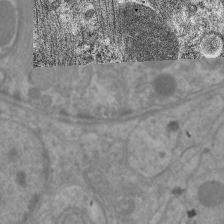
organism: C. elegans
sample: Pharynx